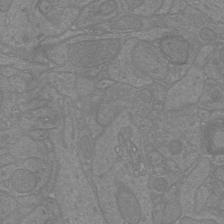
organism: Mouse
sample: Cortical neurons